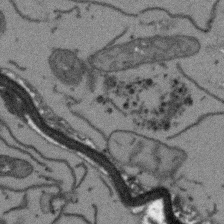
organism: Arabidopsis thaliana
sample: Root tip